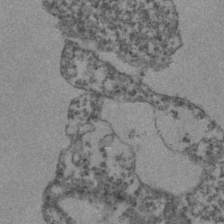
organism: Zebrafish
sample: Zebrafish embryo